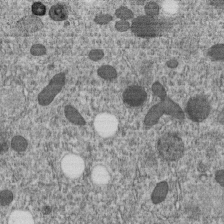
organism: C. elegans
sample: C. elegans embryo early stage